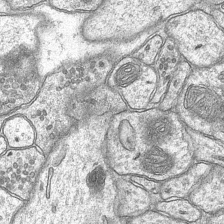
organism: Mouse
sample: CA1 Hippocampus